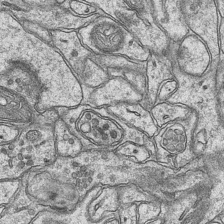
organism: Mouse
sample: CA1 Hippocampus